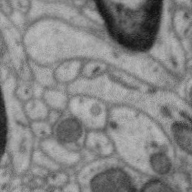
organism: Zebra finch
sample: Brain